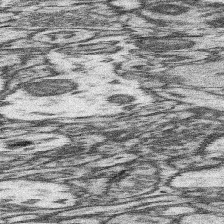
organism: Mouse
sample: Somatosensory cortex neuropil